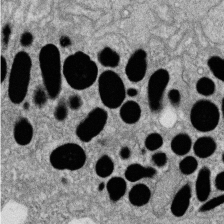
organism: Zebrafish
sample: Cilia; retinal pigment epithelium